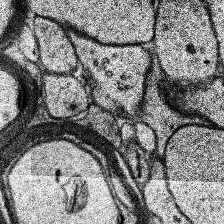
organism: Human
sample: Temporal Lobe